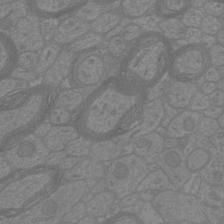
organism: Mouse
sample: Cortical neurons